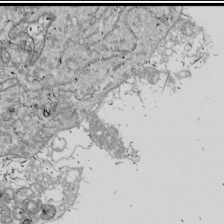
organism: Drosophila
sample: Cell division; meiosis; drosophila spermatocytes